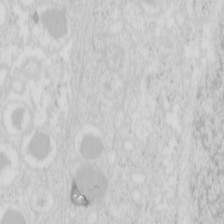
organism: Mouse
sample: Pancreas